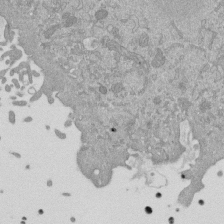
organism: Mouse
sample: ED-1 cell nuclei; centrioles